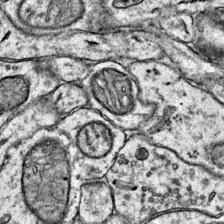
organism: Mouse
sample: Primary visual cortex